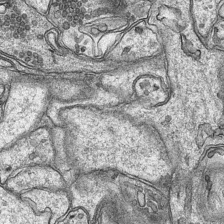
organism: Mouse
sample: CA1 Hippocampus